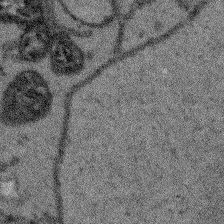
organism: Arabidopsis thaliana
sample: Root tip